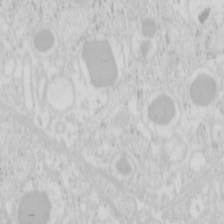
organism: Mouse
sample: Pancreas